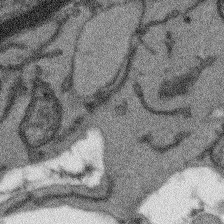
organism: Arabidopsis thaliana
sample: Root tip